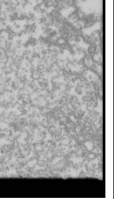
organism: Drosophila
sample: Cell division; meiosis; drosophila spermatocytes